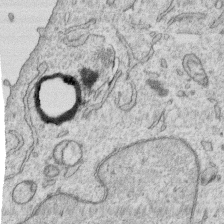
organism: Human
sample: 1205lu cells